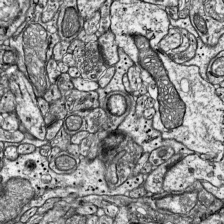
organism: Mouse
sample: Visual Cortex